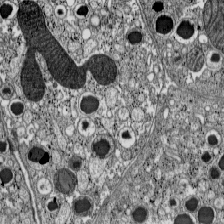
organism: C57BL Mouse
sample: Pancreatic islet